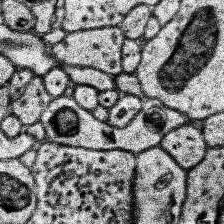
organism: Human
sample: Temporal Lobe